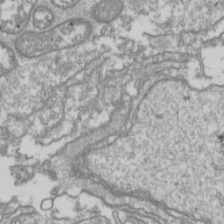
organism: Drosophila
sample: Cell division; meiosis; drosophila spermatocytes